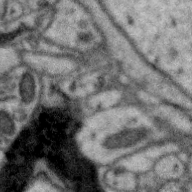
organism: Zebra finch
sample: Brain